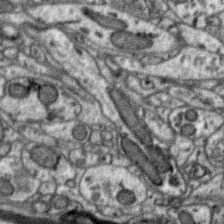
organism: Zebra finch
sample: Brain